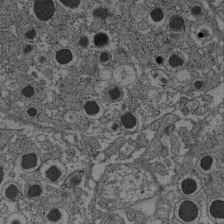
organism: C57BL Mouse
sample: Pancreatic islet